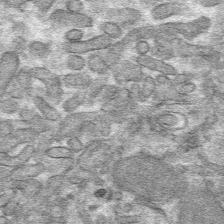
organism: Mouse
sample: Mouse hepatocytes